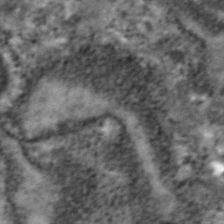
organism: Zebrafish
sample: Zebrafish embryo